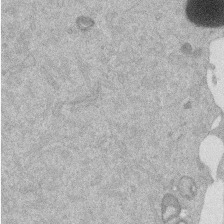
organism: Mouse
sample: Dividing mouse embryo 1 cell stage